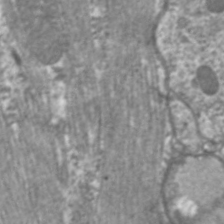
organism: C. elegans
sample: Pharynx